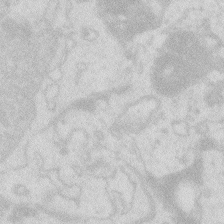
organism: Zebrafish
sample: Macrophage